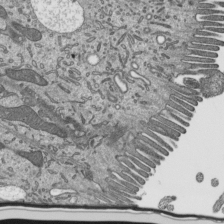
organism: Mouse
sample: Mouse epididymis efferent ductule cilia